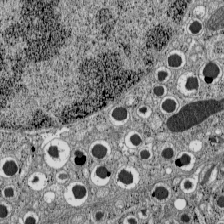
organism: C57BL Mouse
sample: Pancreatic islet